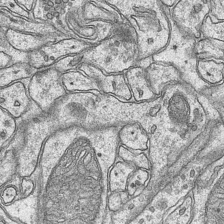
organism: Mouse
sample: CA1 Hippocampus